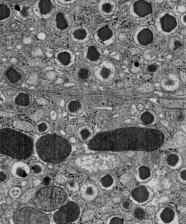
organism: C57BL Mouse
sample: Pancreatic islet